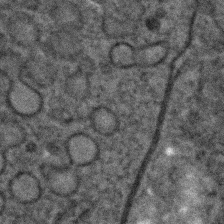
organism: C. elegans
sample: C. elegans embryo